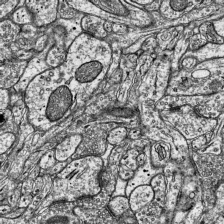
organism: Mouse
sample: Visual Cortex